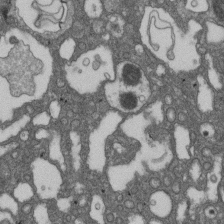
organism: Drosophila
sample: Nephrocyte